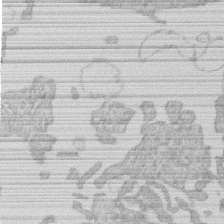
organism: Human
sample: Macrophage cells